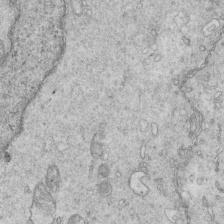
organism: Mouse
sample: Multiciliated cells